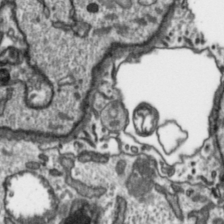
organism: Toxoplasma gondii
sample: Parasites in a vacuole inside a host cell